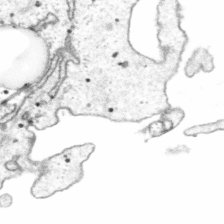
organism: Human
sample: HeLa cells